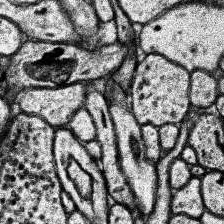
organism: Human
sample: Temporal Lobe